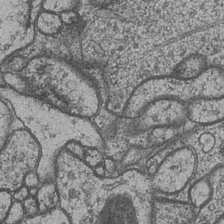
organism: Drosophila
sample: Optic medulla